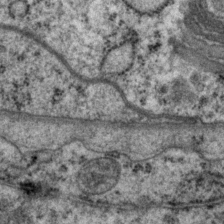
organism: P. pacificus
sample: Pharynx